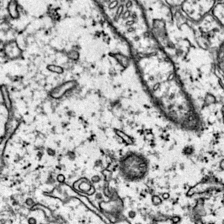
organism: Mouse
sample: Primary visual cortex